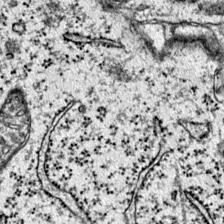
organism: Mouse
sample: Primary visual cortex